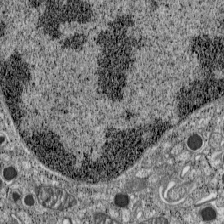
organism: C57BL Mouse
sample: Pancreatic islet